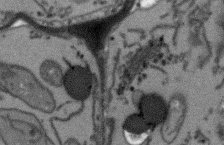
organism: Arabidopsis thaliana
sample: Root tip